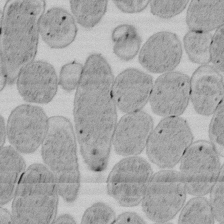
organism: E. coli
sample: Bacterial nucleoid